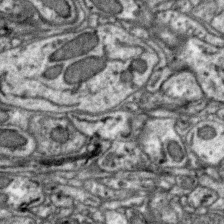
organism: Zebra finch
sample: Brain